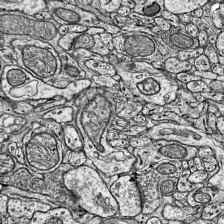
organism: Mouse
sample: Visual Cortex